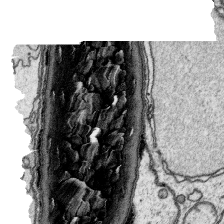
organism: Platynereis dumerilii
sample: Parapodia